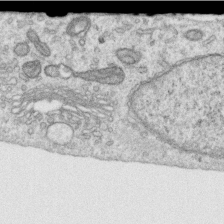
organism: Human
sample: Centriole in RPE cells